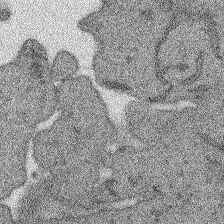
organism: Human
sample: HeLa cells